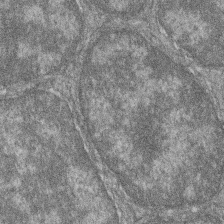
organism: Zebrafish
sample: Cilia; retinal pigment epithelium